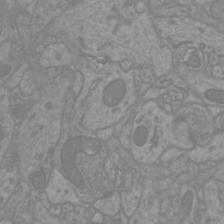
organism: Mouse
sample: Cortical neurons